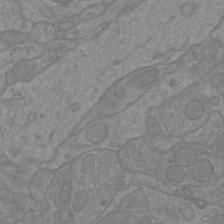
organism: Mouse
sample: Cortical neurons